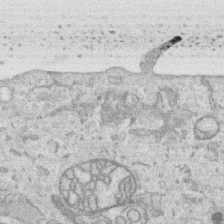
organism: Human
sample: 1205lu cells